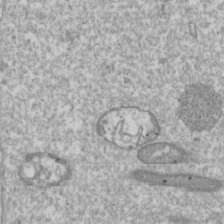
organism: Drosophila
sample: Cell division; meiosis; drosophila spermatocytes